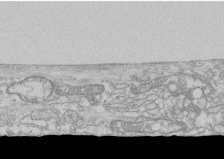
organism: Human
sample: CRL-1474